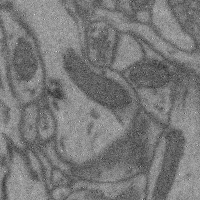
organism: Mouse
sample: Cerebral cortex